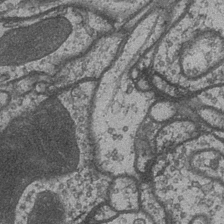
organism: Drosophila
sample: Optic medulla